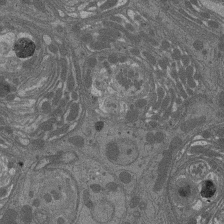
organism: Drosophila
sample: Antenna